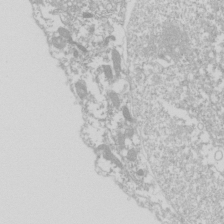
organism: Drosophila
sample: Cell division; meiosis; drosophila spermatocytes